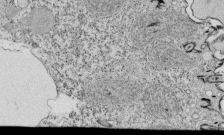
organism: Tetrahymena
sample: Cilia in tetrahymena